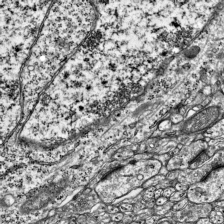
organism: Mouse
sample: Visual Cortex